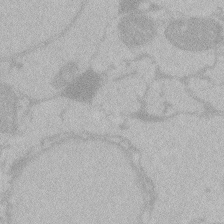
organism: Zebrafish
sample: Macrophage infected with Toxoplasma gondii